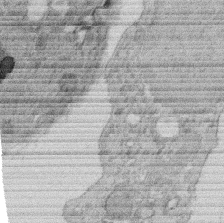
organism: Rat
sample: Salivary granule